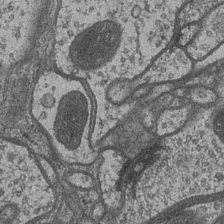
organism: Drosophila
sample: Optic medulla